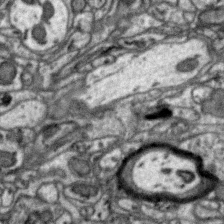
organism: Zebra finch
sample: Brain